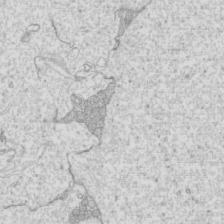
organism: Mouse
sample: Cilia; mouse epididymis